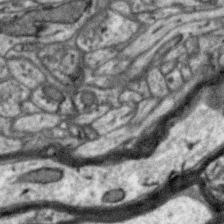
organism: Zebra finch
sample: Brain